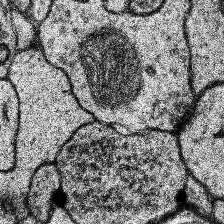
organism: Human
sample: Temporal Lobe